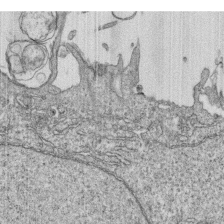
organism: Human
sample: HeLa cell HIV synapse